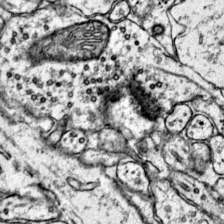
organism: Mouse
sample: Primary visual cortex